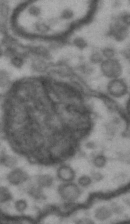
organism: Drosophila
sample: Brain